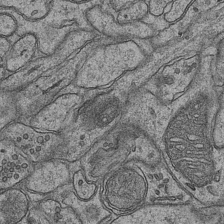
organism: Mouse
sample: CA1 Hippocampus